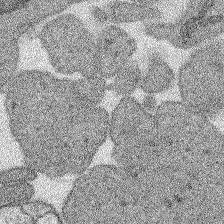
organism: Human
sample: HeLa cells